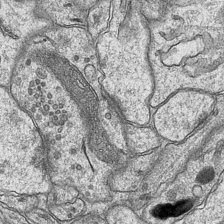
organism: Mouse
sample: CA1 Hippocampus